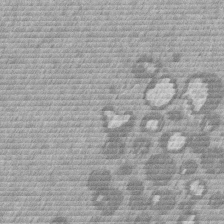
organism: Mouse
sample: Dividing mouse embryo 1 cell stage